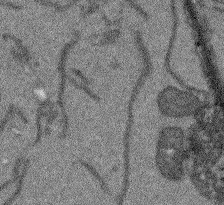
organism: Arabidopsis thaliana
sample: Root tip